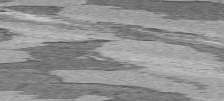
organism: C57BL Mouse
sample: Heart